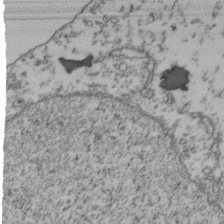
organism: Human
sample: Activated Jurkat CD4+ T cells